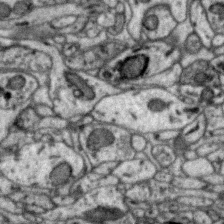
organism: Zebra finch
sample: Brain